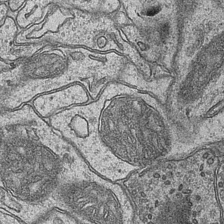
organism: Mouse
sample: CA1 Hippocampus